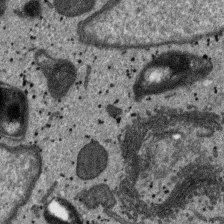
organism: Human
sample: Lung epithelial cells, uninfected (mock) control